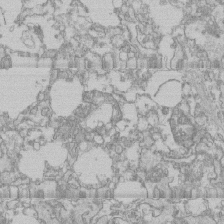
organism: Human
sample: CRL-1474